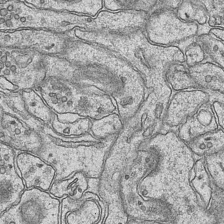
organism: Mouse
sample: CA1 Hippocampus